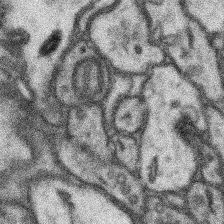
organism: Mouse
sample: Somatosensory cortex neuropil